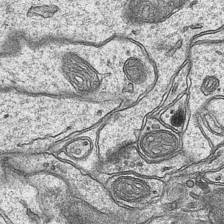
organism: Mouse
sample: CA1 Hippocampus